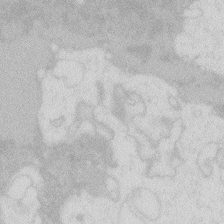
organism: Zebrafish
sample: Macrophage